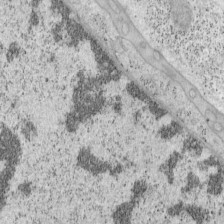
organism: Mouse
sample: OT-I killer T cells with ID8 ovarian cancer cells